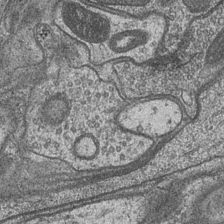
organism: Drosophila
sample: Optic medulla